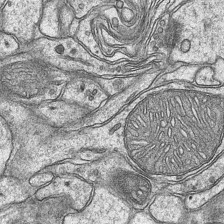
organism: Mouse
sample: CA1 Hippocampus